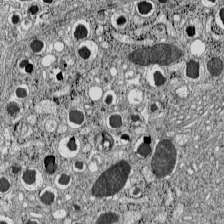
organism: C57BL Mouse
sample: Pancreatic islet